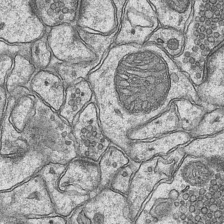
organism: Mouse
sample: CA1 Hippocampus